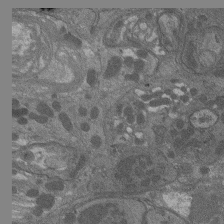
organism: Drosophila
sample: Antenna